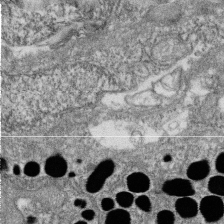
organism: Zebrafish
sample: Cilia; retinal pigment epithelium